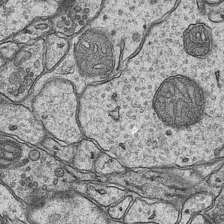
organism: Mouse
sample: CA1 Hippocampus